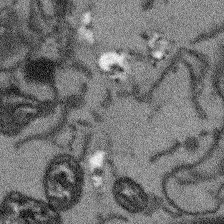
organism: Arabidopsis thaliana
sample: Root tip